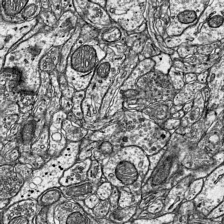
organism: Mouse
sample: Visual Cortex